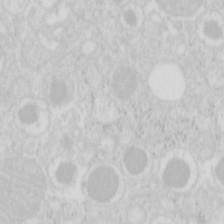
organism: Mouse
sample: Pancreas